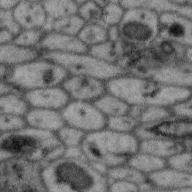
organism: Zebra finch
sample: Brain